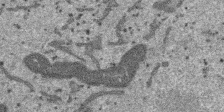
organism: Human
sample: Lung epithelial cells infected with SARS-CoV-2